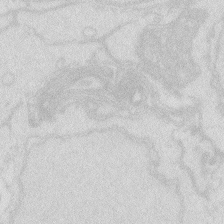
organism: Zebrafish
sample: Macrophage